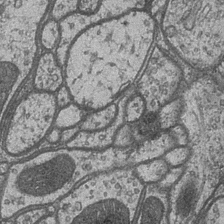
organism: Drosophila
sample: Optic medulla